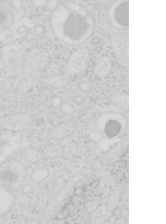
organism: Mouse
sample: Pancreas